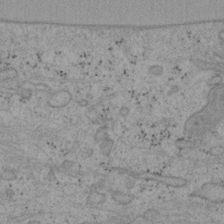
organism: Human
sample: HeLa cells